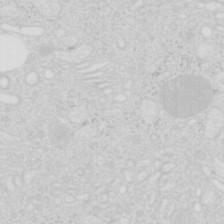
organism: Mouse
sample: Pancreas